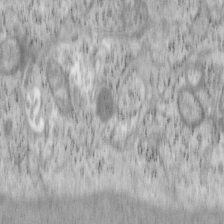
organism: Human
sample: HeLa cells